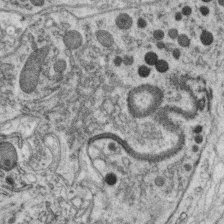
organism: C. elegans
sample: C. elegans oocyte; sperm cells